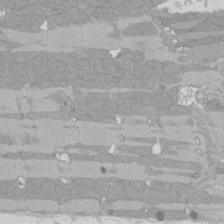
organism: Rat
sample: Left ventricle